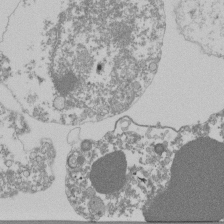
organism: Mouse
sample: Activated Pmel transgenic CD8+ T Cells